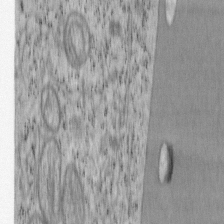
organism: Human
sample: HeLa cells